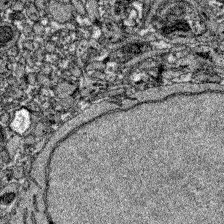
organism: Zebrafish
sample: Larval olfactory bulb